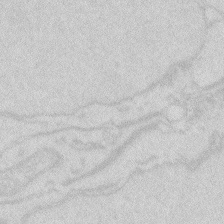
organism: Zebrafish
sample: Macrophage